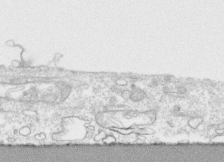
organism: Human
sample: CRL-1474